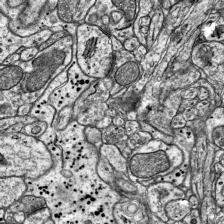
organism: Mouse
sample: Visual Cortex